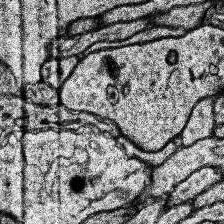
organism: Human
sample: Temporal Lobe